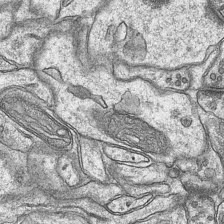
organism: Mouse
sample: CA1 Hippocampus